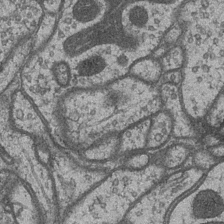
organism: Drosophila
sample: Optic medulla